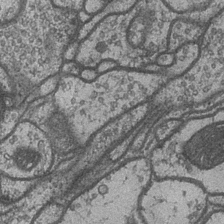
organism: Drosophila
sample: Optic medulla